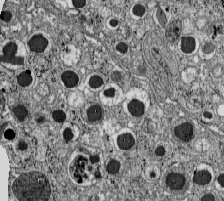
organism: C57BL Mouse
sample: Pancreatic islet